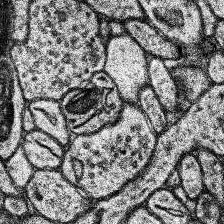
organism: Human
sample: Temporal Lobe